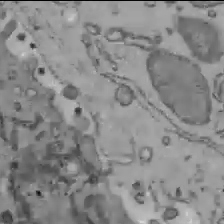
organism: C57BL Mouse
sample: Liver